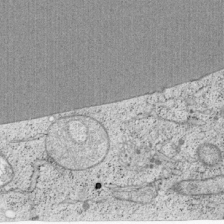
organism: African green monkey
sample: COS-7 cells